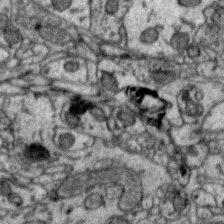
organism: Zebra finch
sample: Brain